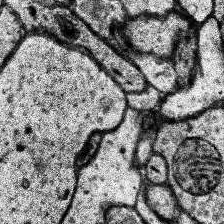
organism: Human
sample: Temporal Lobe